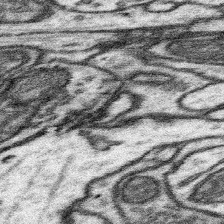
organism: Mouse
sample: Somatosensory cortex neuropil